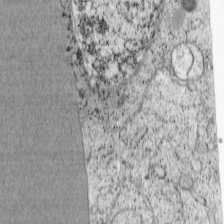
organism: African green monkey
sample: COS-7 cells